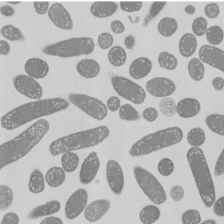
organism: E. coli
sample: Bacterial nucleoid